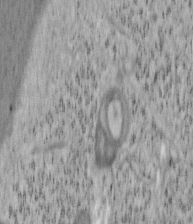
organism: Human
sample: HeLa cells